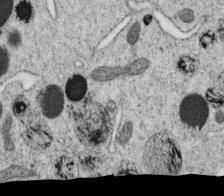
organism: C. elegans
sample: C. elegans oocyte; sperm cells